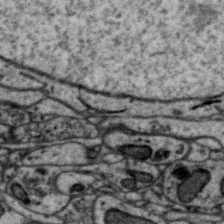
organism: Zebra finch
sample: Brain